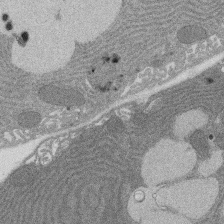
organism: Rat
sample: Salivary granule